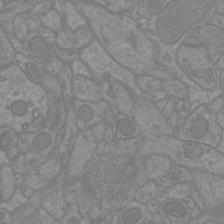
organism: Mouse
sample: Cortical neurons